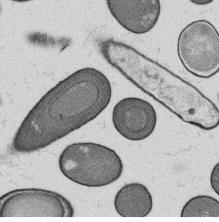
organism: B. subtilis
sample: Bacterial spore